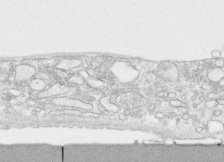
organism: Human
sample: CRL-1474